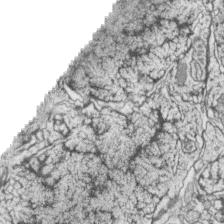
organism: Zebrafish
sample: synaptic ribbons in rod cells and cone cells